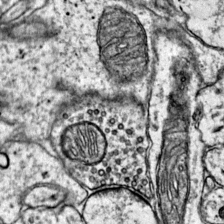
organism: Mouse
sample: Primary visual cortex